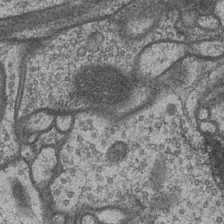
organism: Drosophila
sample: Optic medulla